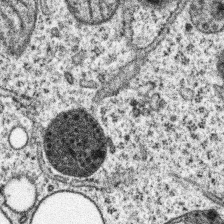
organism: Human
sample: HeLa cells